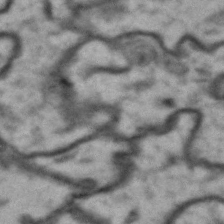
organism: Drosophila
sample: Brain